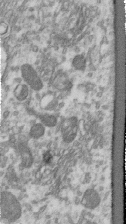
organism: Human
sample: Centriole in RPE cells